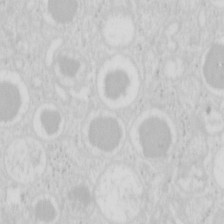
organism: Mouse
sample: Pancreas